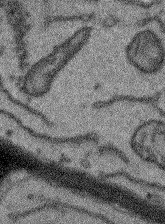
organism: Arabidopsis thaliana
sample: Root tip